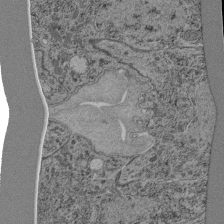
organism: C. elegans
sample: C. elegans pharynx